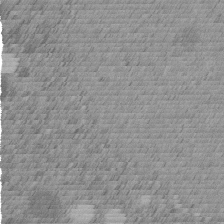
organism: C. elegans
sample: C. elegans embryo early stage